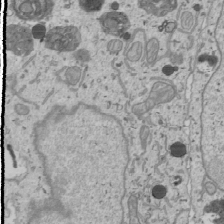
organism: Human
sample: Mitochondria in U2OS cells